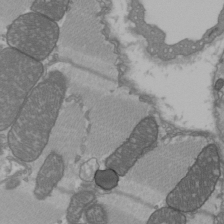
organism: C57BL Mouse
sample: Heart